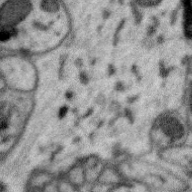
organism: Zebra finch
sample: Brain